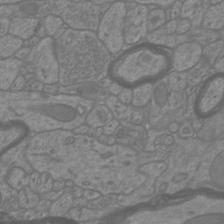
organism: Mouse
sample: Cortical neurons